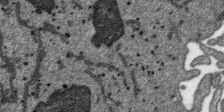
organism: Human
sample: Lung epithelial cells infected with SARS-CoV-2